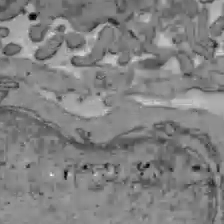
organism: C57BL Mouse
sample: Liver